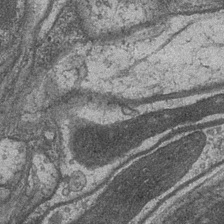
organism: Drosophila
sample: Optic medulla